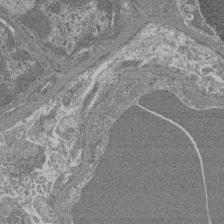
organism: Mouse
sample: Glomerulus